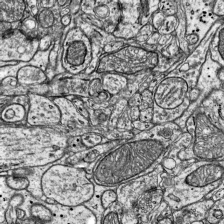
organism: Mouse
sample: Visual Cortex